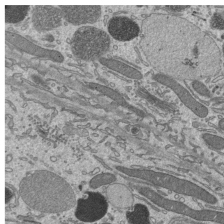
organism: Mouse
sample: Mouse epididymis efferent ductule cilia